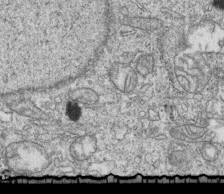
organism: Human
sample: HeLa cell HIV synapse